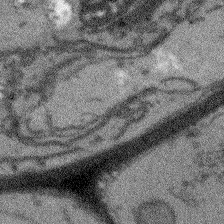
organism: Arabidopsis thaliana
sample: Root tip